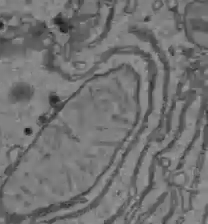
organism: C57BL Mouse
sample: Liver